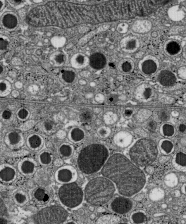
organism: C57BL Mouse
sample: Pancreatic islet